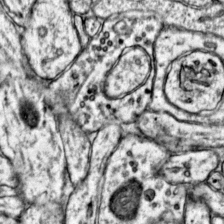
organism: Mouse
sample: Primary visual cortex